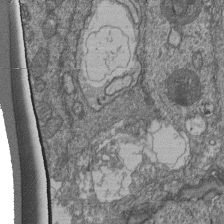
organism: Human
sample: Retinal organoid Rod and Cone cells